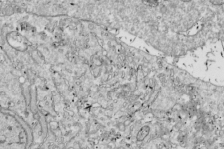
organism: Drosophila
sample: Cell division; meiosis; drosophila spermatocytes